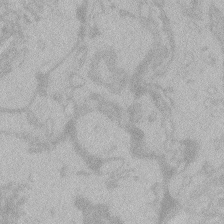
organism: Zebrafish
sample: Macrophage infected with Toxoplasma gondii